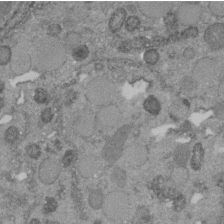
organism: C. elegans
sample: C. elegans embryo early stage